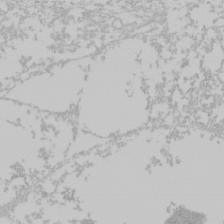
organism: Mouse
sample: Cancer cell death in ED-1 cells